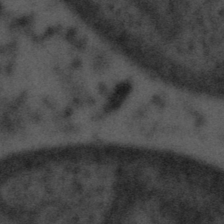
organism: Tuwongella immobilis